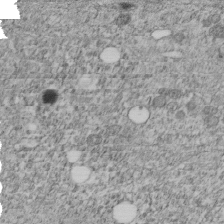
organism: C. elegans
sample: C. elegans embryo early stage